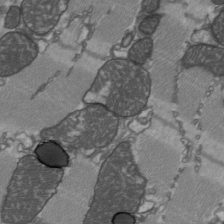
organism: C57BL Mouse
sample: Heart